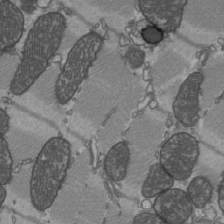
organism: C57BL Mouse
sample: Heart